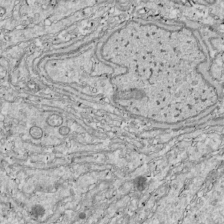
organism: Drosophila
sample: Cell division; meiosis; drosophila spermatocytes